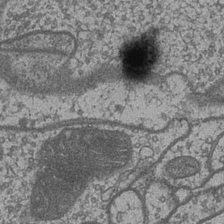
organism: Drosophila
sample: Optic medulla